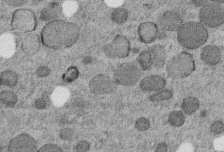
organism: C. elegans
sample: C. elegans embryo early stage